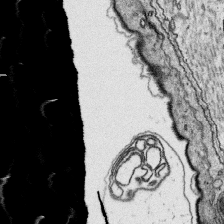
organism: Platynereis dumerilii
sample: Parapodia